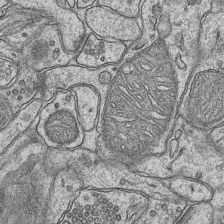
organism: Mouse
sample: CA1 Hippocampus